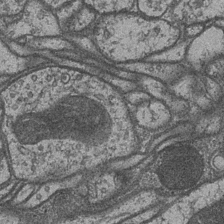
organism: Drosophila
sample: Optic medulla